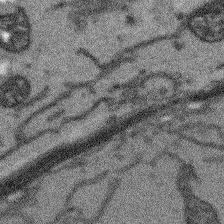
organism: Arabidopsis thaliana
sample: Root tip